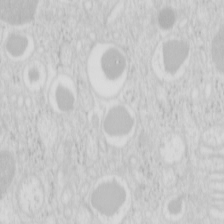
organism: Mouse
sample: Pancreas